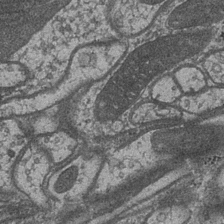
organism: Drosophila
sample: Optic medulla